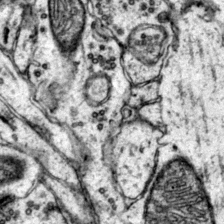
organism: Mouse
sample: Primary visual cortex